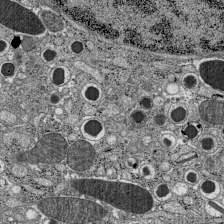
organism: C57BL Mouse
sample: Pancreatic islet